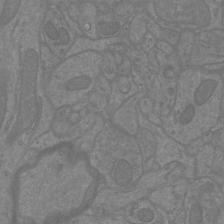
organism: Mouse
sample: Cortical neurons